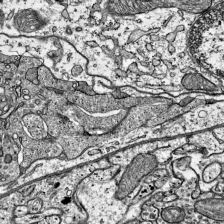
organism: Mouse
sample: Visual Cortex